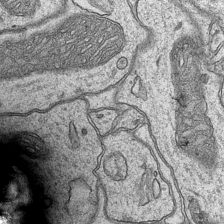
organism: Mouse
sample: CA1 Hippocampus